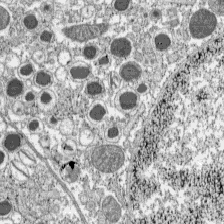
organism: C57BL Mouse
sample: Pancreatic islet